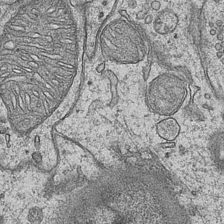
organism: Mouse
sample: CA1 Hippocampus